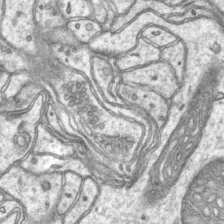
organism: Mouse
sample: CA1 Hippocampus